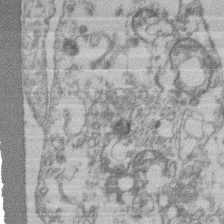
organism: Mouse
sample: T cell stromal cell synapse